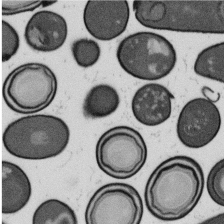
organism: B. subtilis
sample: Bacterial spore